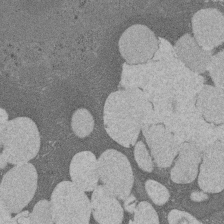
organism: Rat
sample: Salivary granule